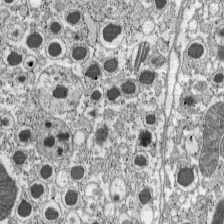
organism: C57BL Mouse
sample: Pancreatic islet